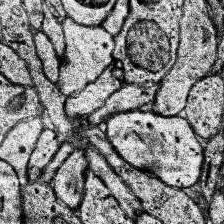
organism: Human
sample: Temporal Lobe